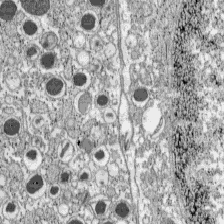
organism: C57BL Mouse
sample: Pancreatic islet